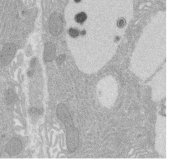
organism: Rat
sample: Salivary granule